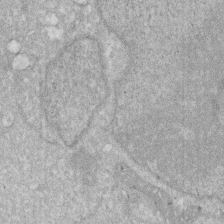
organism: Human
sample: HIV infected U937 cells